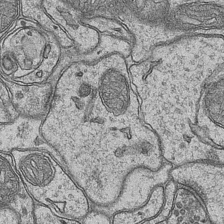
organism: Mouse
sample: CA1 Hippocampus